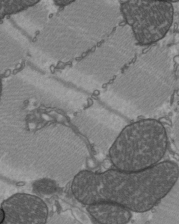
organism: C57BL Mouse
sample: Heart